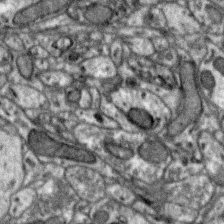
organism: Zebra finch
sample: Brain